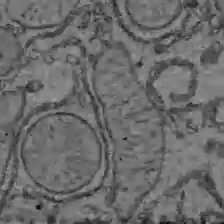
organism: C57BL Mouse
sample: Liver